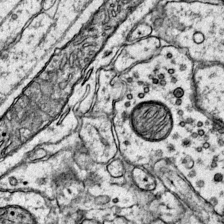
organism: Mouse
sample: Primary visual cortex